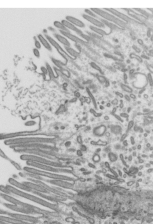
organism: Mouse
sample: Mouse epididymis efferent ductule cilia